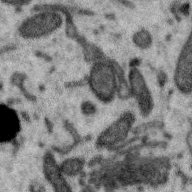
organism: Zebra finch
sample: Brain